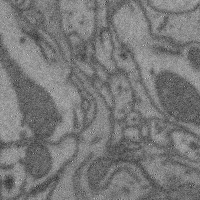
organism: Mouse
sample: Cerebral cortex